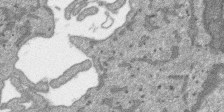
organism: Human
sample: Lung epithelial cells infected with SARS-CoV-2